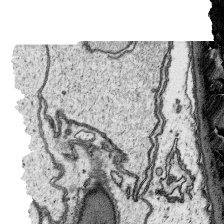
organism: Platynereis dumerilii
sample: Parapodia